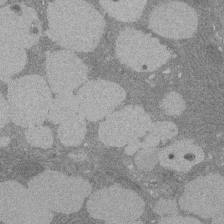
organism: Rat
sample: Salivary granule